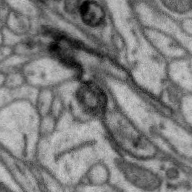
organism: Zebra finch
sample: Brain